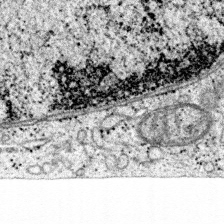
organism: Human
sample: HeLa cells